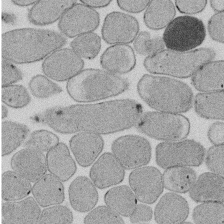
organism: E. coli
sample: Bacterial nucleoid